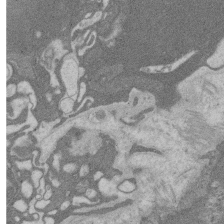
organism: Rat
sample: Salivary granule